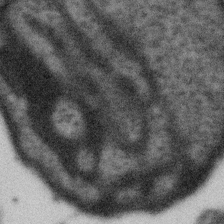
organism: Gemmata obscuriglobus